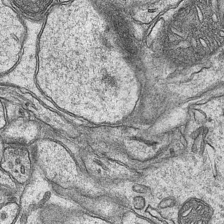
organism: Mouse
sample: CA1 Hippocampus